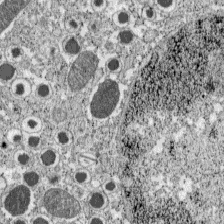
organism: C57BL Mouse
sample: Pancreatic islet